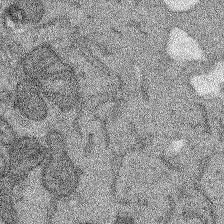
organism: Human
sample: HeLa cells